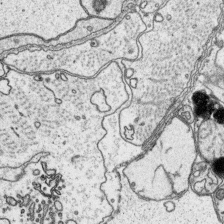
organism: Platynereis dumerilii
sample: Parapodia